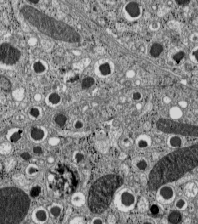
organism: C57BL Mouse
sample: Pancreatic islet